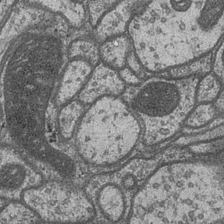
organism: Drosophila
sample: Optic medulla